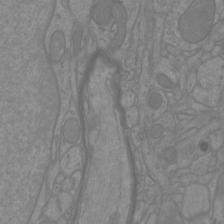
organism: Mouse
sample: Cortical neurons